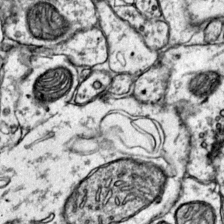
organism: Mouse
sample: Primary visual cortex